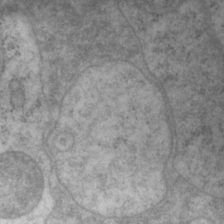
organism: P. pacificus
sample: Pharynx